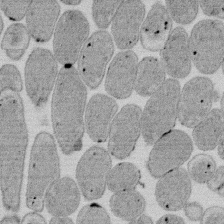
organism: E. coli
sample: Bacterial nucleoid